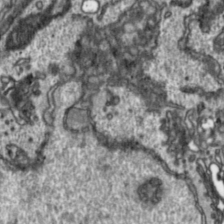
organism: Toxoplasma gondii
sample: Parasites in a vacuole inside a host cell